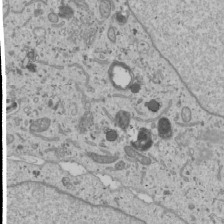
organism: Human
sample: Mitochondria in U2OS cells